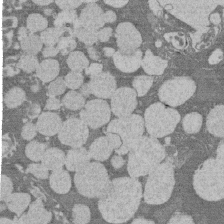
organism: Rat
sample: Salivary granule